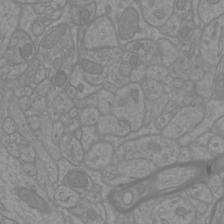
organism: Mouse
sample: Cortical neurons